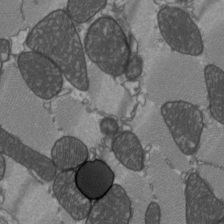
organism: C57BL Mouse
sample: Heart